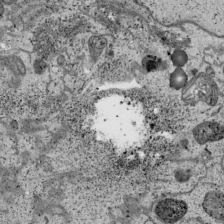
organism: Human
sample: Mitochondria in HCT116 cells